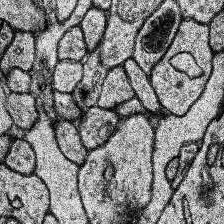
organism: Human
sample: Temporal Lobe